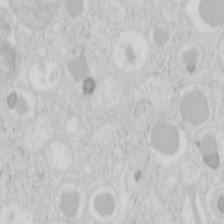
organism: Mouse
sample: Pancreas